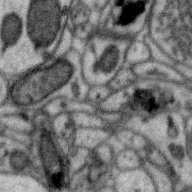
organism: Zebra finch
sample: Brain